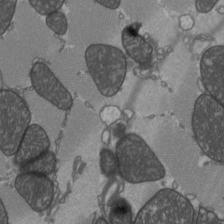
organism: C57BL Mouse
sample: Heart